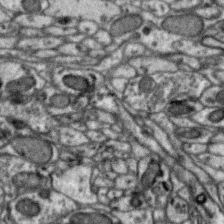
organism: Zebra finch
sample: Brain